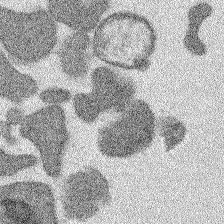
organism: Human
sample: HeLa cells